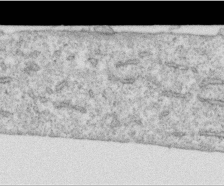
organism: Human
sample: Centriole in RPE cells